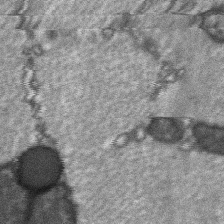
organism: C57BL Mouse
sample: Soleus